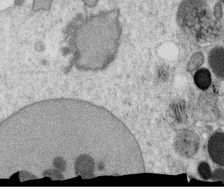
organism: C. elegans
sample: C. elegans oocyte; sperm cells